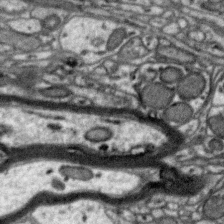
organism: Zebra finch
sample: Brain